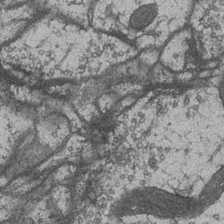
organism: Drosophila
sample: Optic medulla